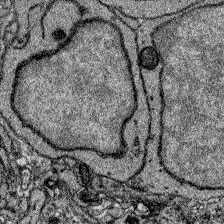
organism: Zebrafish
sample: Larval olfactory bulb